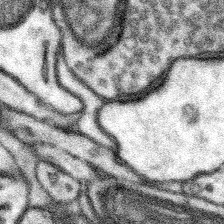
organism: Mouse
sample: Somatosensory cortex neuropil